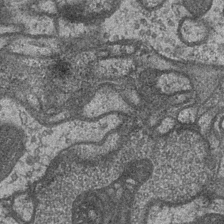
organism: Drosophila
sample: Optic medulla